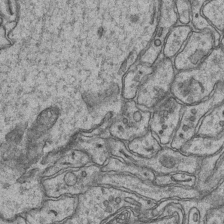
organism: Mouse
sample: CA1 Hippocampus